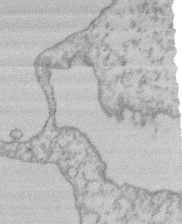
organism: Mouse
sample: T cell stromal cell synapse